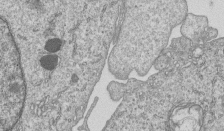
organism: Human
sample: MDA-MB-231 cells